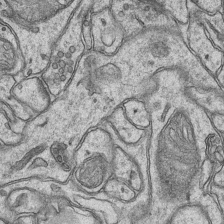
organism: Mouse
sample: CA1 Hippocampus